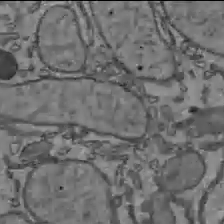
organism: C57BL Mouse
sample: Liver